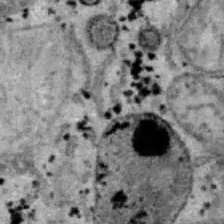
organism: Mouse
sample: Liver from an obese (ob/ob) mouse